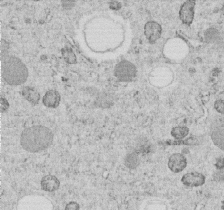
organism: C. elegans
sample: C. elegans embryo early stage